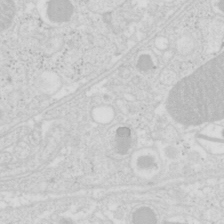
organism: Mouse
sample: Pancreas